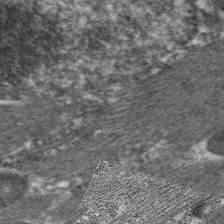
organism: C. elegans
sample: Pharynx